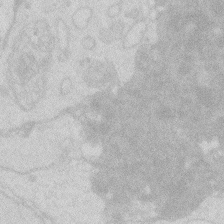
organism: Zebrafish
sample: Macrophage